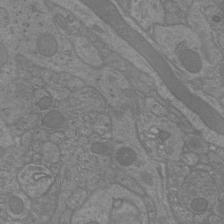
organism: Mouse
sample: Cortical neurons